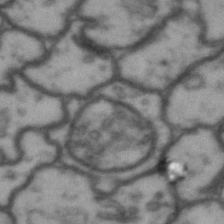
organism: Drosophila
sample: Brain